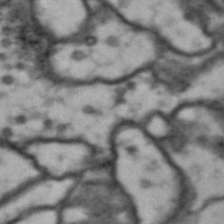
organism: Drosophila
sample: Brain